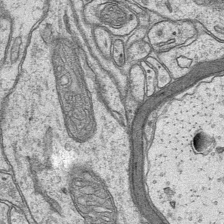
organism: Mouse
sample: CA1 Hippocampus